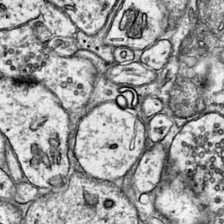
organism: Mouse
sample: Primary visual cortex